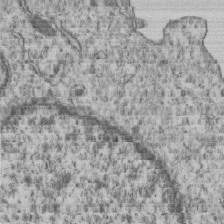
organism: Human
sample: MDA-MB-231 cells